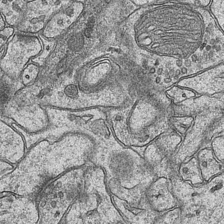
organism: Mouse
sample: CA1 Hippocampus